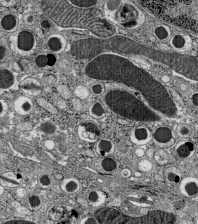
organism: C57BL Mouse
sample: Pancreatic islet